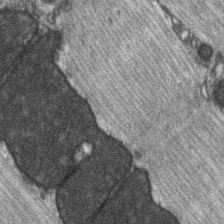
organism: C57BL Mouse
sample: Soleus